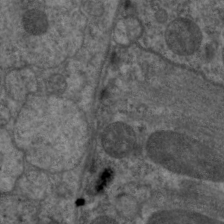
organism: C. elegans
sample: Pharynx